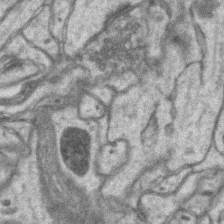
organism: Mouse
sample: CA1 Hippocampus